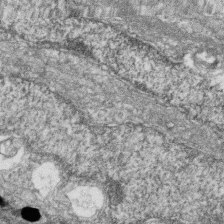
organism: Zebrafish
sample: Cilia; retinal pigment epithelium